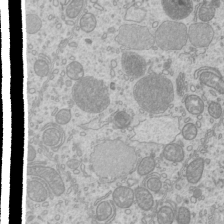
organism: Mouse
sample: Cilia; mouse epididymis